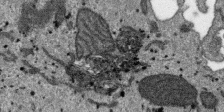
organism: Human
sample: Lung epithelial cells, uninfected (mock) control